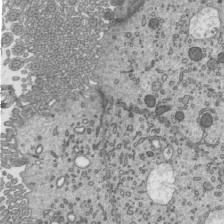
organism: Mouse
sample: Mouse epididymis efferent ductule cilia